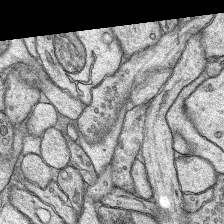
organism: Rat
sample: Hippocampus